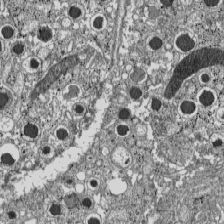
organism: C57BL Mouse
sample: Pancreatic islet